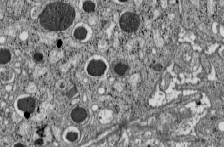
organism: C57BL Mouse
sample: Pancreatic islet